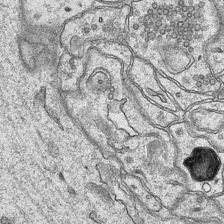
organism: Mouse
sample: CA1 Hippocampus